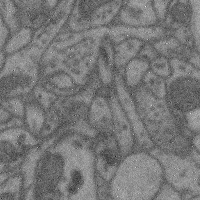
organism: Mouse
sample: Cerebral cortex